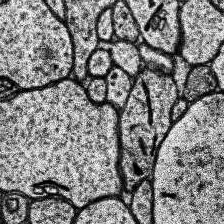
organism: Human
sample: Temporal Lobe